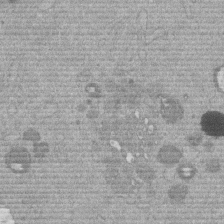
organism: Mouse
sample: Dividing mouse embryo 1 cell stage